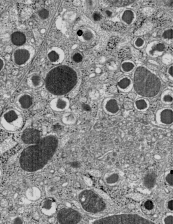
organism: C57BL Mouse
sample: Pancreatic islet